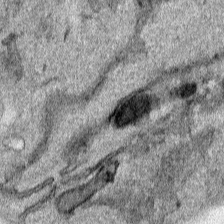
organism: Human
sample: Mitochondria in HCT116 cells